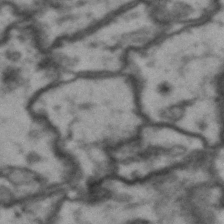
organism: Drosophila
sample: Brain